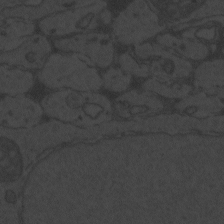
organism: Zebrafish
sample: Macrophage infected with Toxoplasma gondii